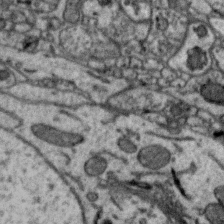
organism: Zebra finch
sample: Brain